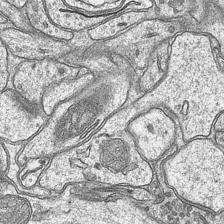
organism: Mouse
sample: CA1 Hippocampus